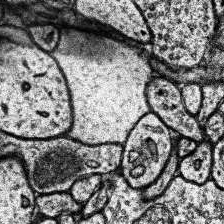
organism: Human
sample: Temporal Lobe